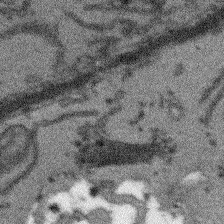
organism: Arabidopsis thaliana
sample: Root tip